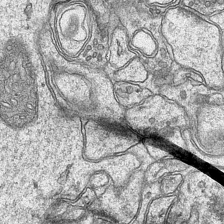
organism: Mouse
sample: CA1 Hippocampus